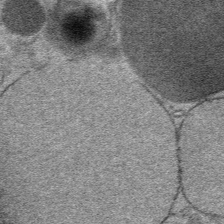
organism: Mouse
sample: Mouse Salivary gland